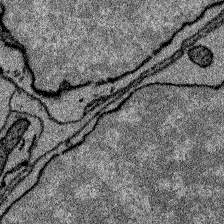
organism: Zebrafish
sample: Larval olfactory bulb